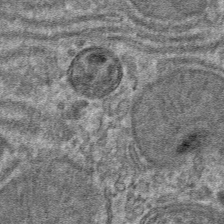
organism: Mouse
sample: Mouse hepatocytes